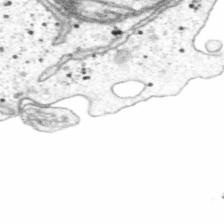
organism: Human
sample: HeLa cells